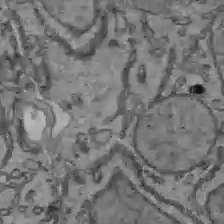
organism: C57BL Mouse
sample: Liver